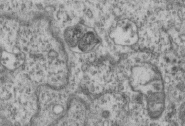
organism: Mouse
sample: Centriole in ependymal cells